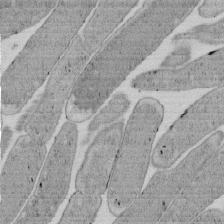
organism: E. coli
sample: Bacterial nucleoid